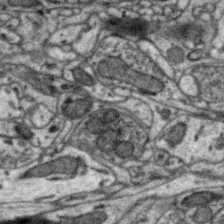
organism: Zebra finch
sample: Brain